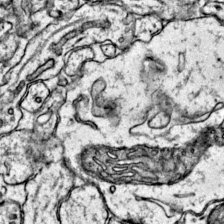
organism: Mouse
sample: Primary visual cortex